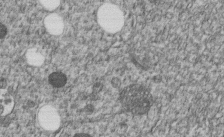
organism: C. elegans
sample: C. elegans embryo early stage